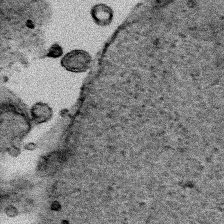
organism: Human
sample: Mitochondria in HCT116 cells